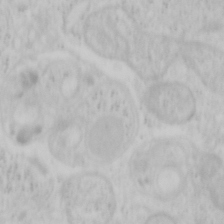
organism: Mouse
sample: OT-I killer T cells with ID8 ovarian cancer cells